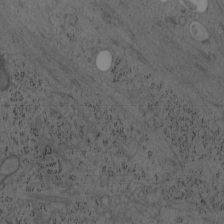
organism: Mouse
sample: OT-I killer T cells with ID8 ovarian cancer cells